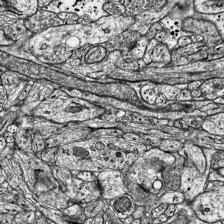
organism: Mouse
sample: Visual Cortex